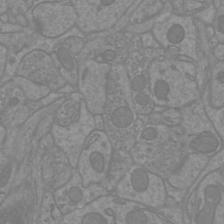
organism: Mouse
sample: Cortical neurons